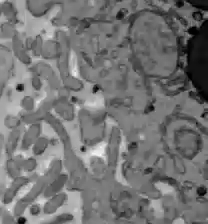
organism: C57BL Mouse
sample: Liver